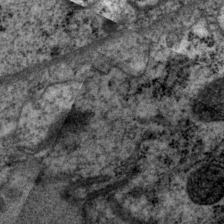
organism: P. pacificus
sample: Pharynx